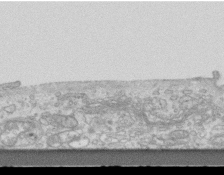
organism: Mouse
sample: Centriole in ependymal cells